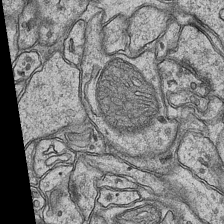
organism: Mouse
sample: CA1 Hippocampus